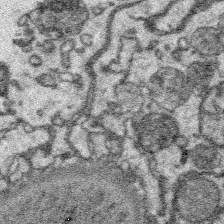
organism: Platynereis dumerilii